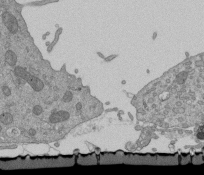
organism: Mouse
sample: ED-1 cell nuclei; centrioles